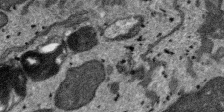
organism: Human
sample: Lung epithelial cells, uninfected (mock) control